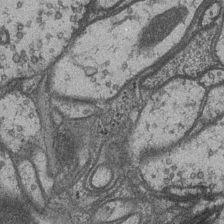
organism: Drosophila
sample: Optic medulla